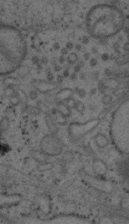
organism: Human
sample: HeLa cells